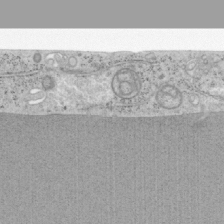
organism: Human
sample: HeLa cells